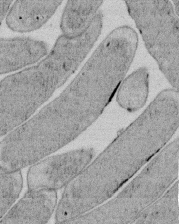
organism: E. coli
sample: Bacterial nucleoid